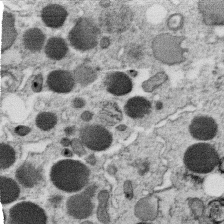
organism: C. elegans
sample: C. elegans oocyte; sperm cells